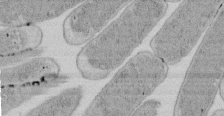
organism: E. coli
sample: Bacterial nucleoid